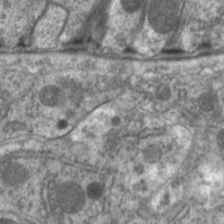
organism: C. elegans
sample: Pharynx